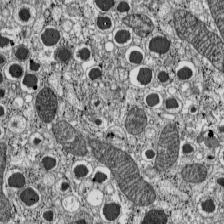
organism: C57BL Mouse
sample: Pancreatic islet